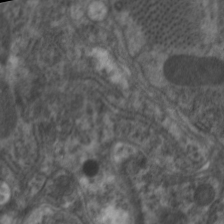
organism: C. elegans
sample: Pharynx